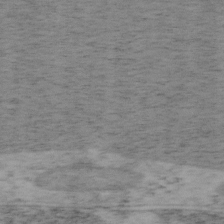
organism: Mouse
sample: OT-I killer T cells with ID8 ovarian cancer cells